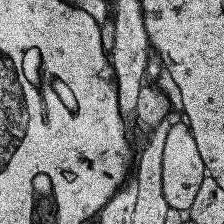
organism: Human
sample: Temporal Lobe